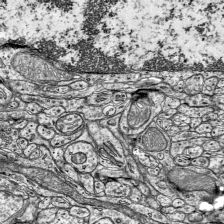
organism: Mouse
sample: Visual Cortex